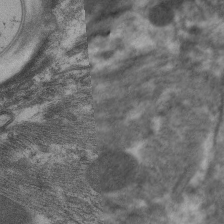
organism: C. elegans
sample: Pharynx